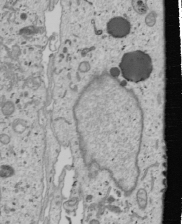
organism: Human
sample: Mitochondria in U2OS cells